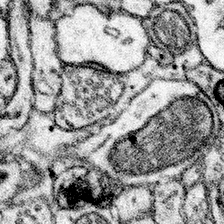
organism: Mouse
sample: Somatosensory cortex neuropil